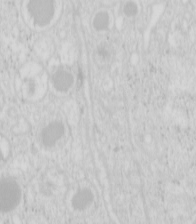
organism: Mouse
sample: Pancreas